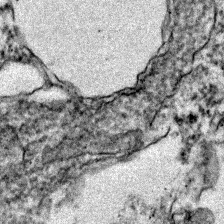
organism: Zebrafish